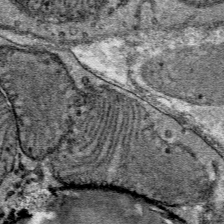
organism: Mouse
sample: Mouse Salivary gland